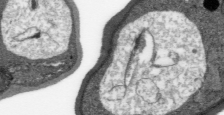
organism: Plasmodium falciparum